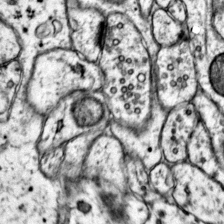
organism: Mouse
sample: Primary visual cortex